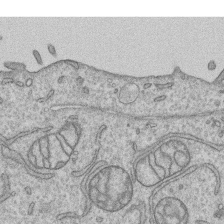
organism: Human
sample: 1205lu cells